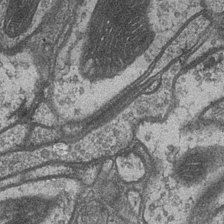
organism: Drosophila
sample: Optic medulla